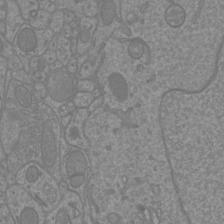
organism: Mouse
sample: Cortical neurons